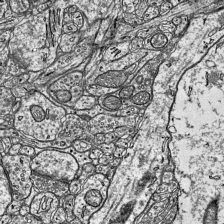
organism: Mouse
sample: Visual Cortex